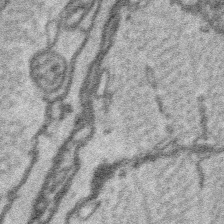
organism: Platynereis dumerilii